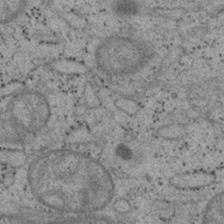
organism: Human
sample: HeLa cells